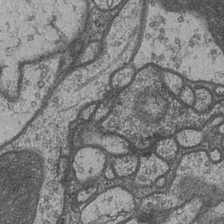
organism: Drosophila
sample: Optic medulla